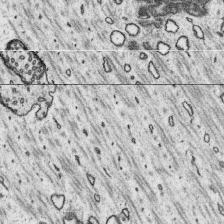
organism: Platynereis dumerilii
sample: Parapodia